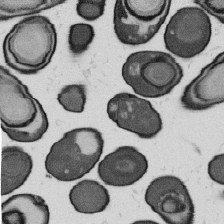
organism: B. subtilis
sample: Bacterial spore